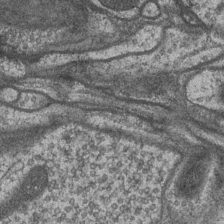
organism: Drosophila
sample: Optic medulla